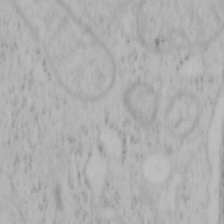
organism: Mouse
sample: OT-I killer T cells with ID8 ovarian cancer cells